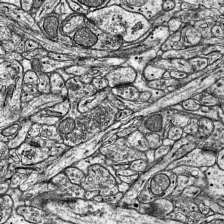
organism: Mouse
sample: Visual Cortex